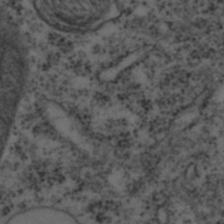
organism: C. elegans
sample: C. elegans embryo